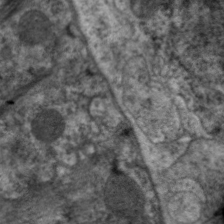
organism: C. elegans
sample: Pharynx